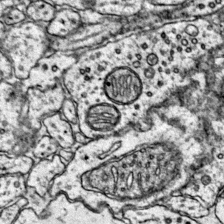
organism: Mouse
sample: Primary visual cortex